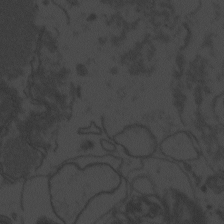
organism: Zebrafish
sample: Macrophage infected with Toxoplasma gondii